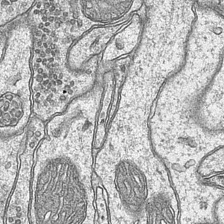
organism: Mouse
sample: CA1 Hippocampus